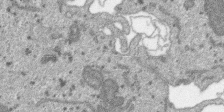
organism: Human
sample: Lung epithelial cells infected with SARS-CoV-2